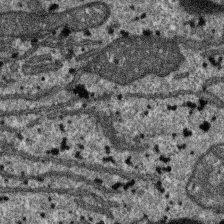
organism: Human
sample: Lung epithelial cells infected with SARS-CoV-2